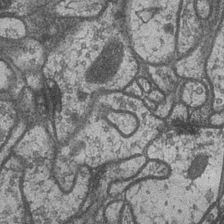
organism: Drosophila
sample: Optic medulla